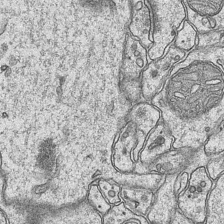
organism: Mouse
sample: CA1 Hippocampus